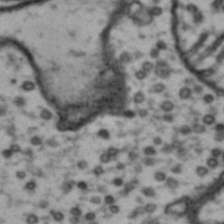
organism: Drosophila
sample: Brain